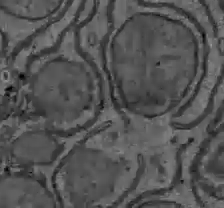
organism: C57BL Mouse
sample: Liver